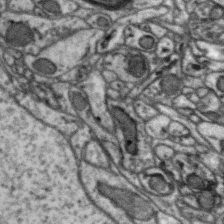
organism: Zebra finch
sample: Brain